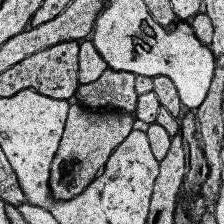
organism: Human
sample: Temporal Lobe